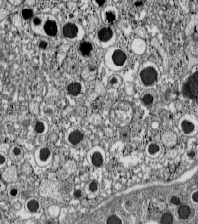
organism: C57BL Mouse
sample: Pancreatic islet